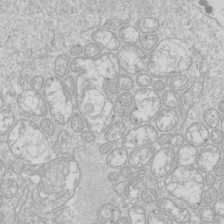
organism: Drosophila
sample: Cell division; meiosis; drosophila spermatocytes